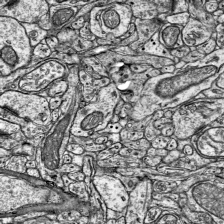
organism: Mouse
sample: Visual Cortex